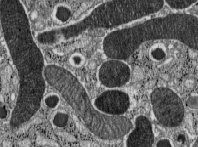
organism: C57BL Mouse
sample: Pancreatic islet